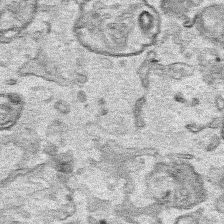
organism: Human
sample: Mitochondria in HCT116 cells